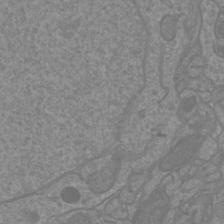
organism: Mouse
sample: Cortical neurons